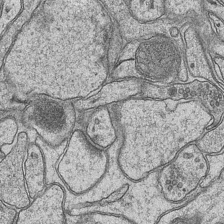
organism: Mouse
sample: CA1 Hippocampus